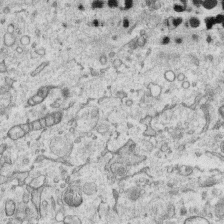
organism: Human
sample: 1205lu cells